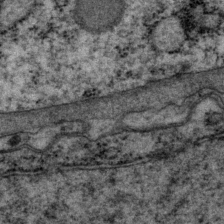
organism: P. pacificus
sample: Pharynx